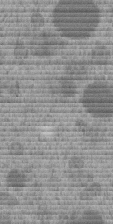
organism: C. elegans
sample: C. elegans embryo early stage